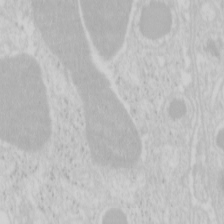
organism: Mouse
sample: Pancreas